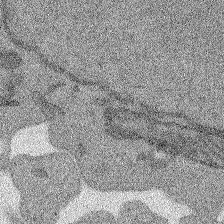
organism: Human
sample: HeLa cells